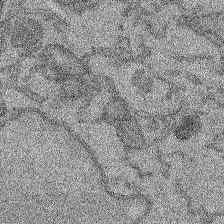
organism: Human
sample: HeLa cells